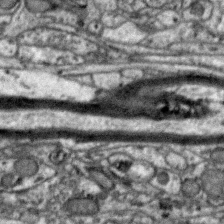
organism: Zebra finch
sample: Brain